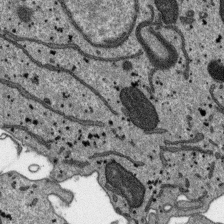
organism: Human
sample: Lung epithelial cells, uninfected (mock) control